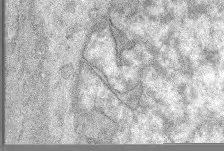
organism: Mouse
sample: Corneal nerves